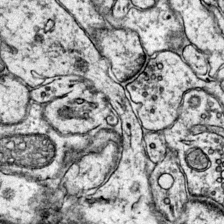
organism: Mouse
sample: Primary visual cortex